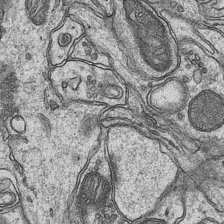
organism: Mouse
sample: CA1 Hippocampus